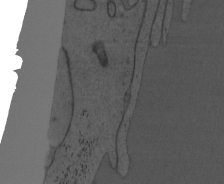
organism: Mouse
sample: OT-I killer T cells with ID8 ovarian cancer cells